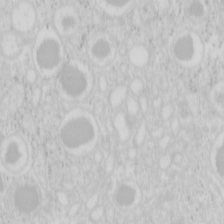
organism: Mouse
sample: Pancreas